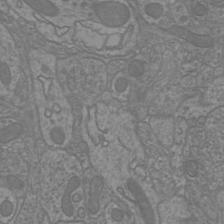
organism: Mouse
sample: Cortical neurons